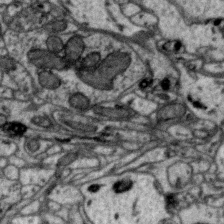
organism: Zebra finch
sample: Brain